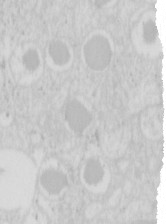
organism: Mouse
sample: Pancreas